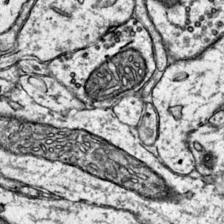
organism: Mouse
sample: Primary visual cortex